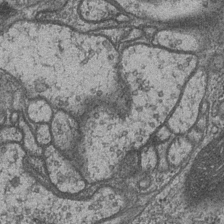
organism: Drosophila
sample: Optic medulla